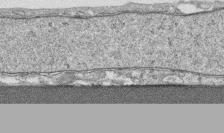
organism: Human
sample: CRL-1474